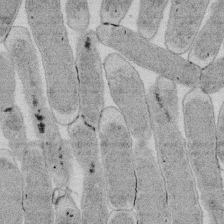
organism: E. coli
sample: Bacterial nucleoid